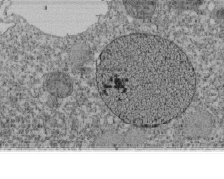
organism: Tetrahymena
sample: Cilia in tetrahymena